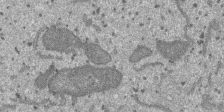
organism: Human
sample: Lung epithelial cells infected with SARS-CoV-2